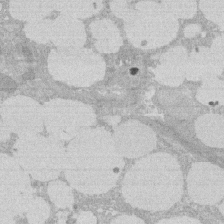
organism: Rat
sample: Salivary granule